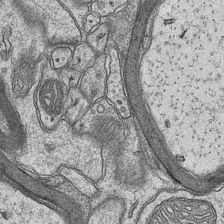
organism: Mouse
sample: CA1 Hippocampus